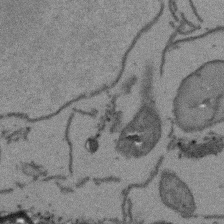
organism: Arabidopsis thaliana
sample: Root tip